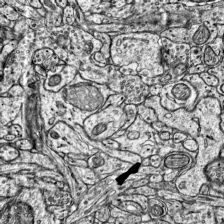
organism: Mouse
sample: Visual Cortex